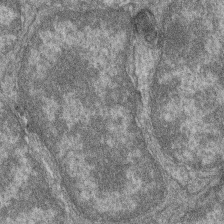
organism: Zebrafish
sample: Cilia; retinal pigment epithelium